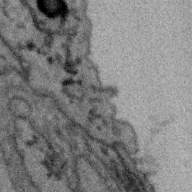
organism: Zebra finch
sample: Brain